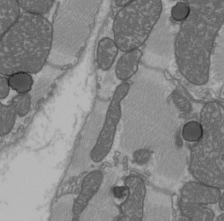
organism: C57BL Mouse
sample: Heart